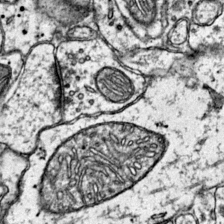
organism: Mouse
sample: Primary visual cortex